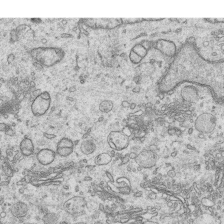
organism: Human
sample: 1205lu cells